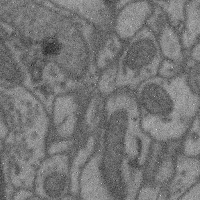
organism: Mouse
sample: Cerebral cortex